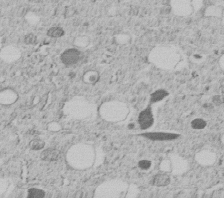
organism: C. elegans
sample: C. elegans embryo early stage